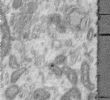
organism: Human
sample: Centriole in RPE cells